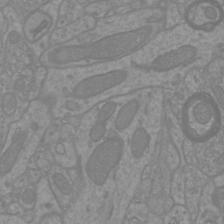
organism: Mouse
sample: Cortical neurons